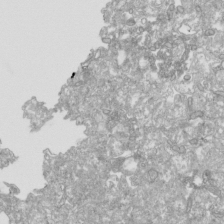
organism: Human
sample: Mitochondria in HCT116 cells